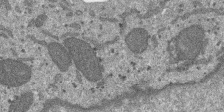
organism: Human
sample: Lung epithelial cells infected with SARS-CoV-2